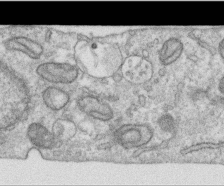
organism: Human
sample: Centriole in RPE cells